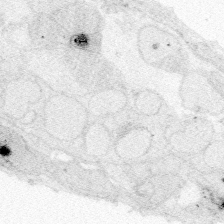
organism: Zebrafish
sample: Whole-Brain